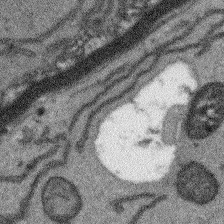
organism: Arabidopsis thaliana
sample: Root tip